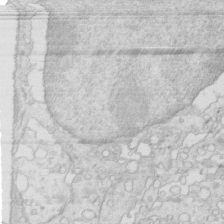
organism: Mouse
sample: Multiciliated cells